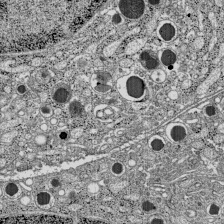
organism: C57BL Mouse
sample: Pancreatic islet